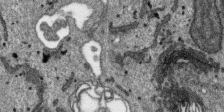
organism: Human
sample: Lung epithelial cells, uninfected (mock) control